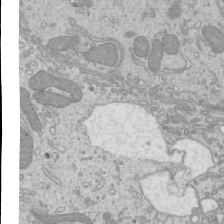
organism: Mouse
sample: Cilia; mouse epididymis